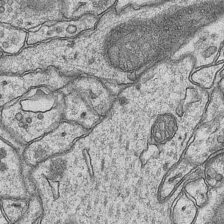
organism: Mouse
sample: CA1 Hippocampus